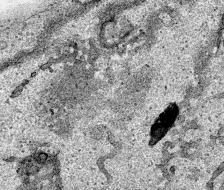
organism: Human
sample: Mitochondria in HCT116 cells